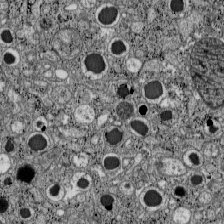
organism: C57BL Mouse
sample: Pancreatic islet